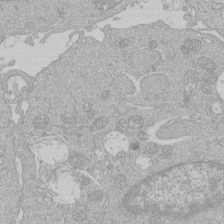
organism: Human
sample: Macrophage cells